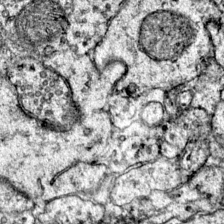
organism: Mouse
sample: Primary visual cortex